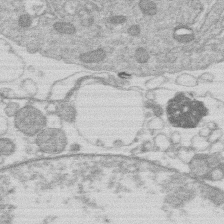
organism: Human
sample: Macrophage cells